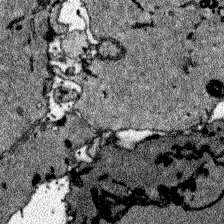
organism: Zebrafish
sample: Larval olfactory bulb